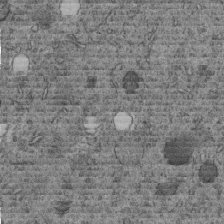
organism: C. elegans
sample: C. elegans embryo early stage